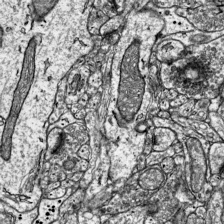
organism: Mouse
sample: Visual Cortex